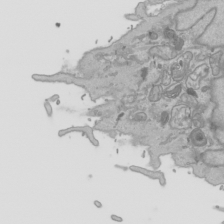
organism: Human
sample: Mitochondria in HCT116 cells